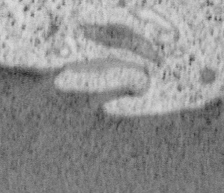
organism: Mouse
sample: OT-I killer T cells with ID8 ovarian cancer cells